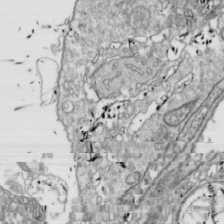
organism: Drosophila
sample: Cell division; meiosis; drosophila spermatocytes